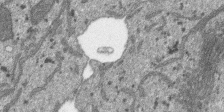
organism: Human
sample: Lung epithelial cells infected with SARS-CoV-2